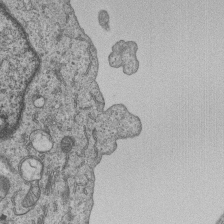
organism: Human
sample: MDA-MB-231 cells